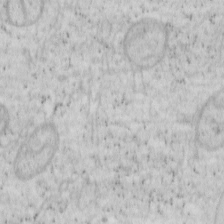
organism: Human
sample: HeLa cells